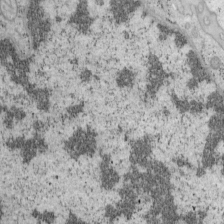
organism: Mouse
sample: OT-I killer T cells with ID8 ovarian cancer cells